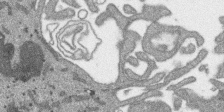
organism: Human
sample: Lung epithelial cells infected with SARS-CoV-2